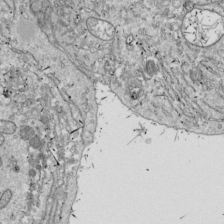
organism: Drosophila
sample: Cell division; meiosis; drosophila spermatocytes